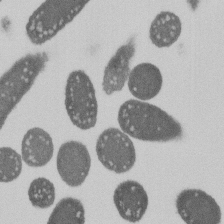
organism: E. coli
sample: Bacterial nucleoid